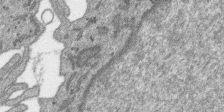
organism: Human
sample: Lung epithelial cells infected with SARS-CoV-2